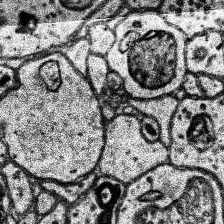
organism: Human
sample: Temporal Lobe